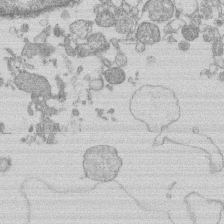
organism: Human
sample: Macrophage cells